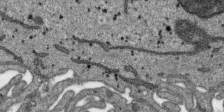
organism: Human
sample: Lung epithelial cells, uninfected (mock) control